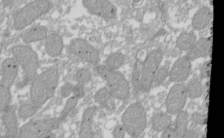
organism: Xenopus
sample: Cilia; centrioles in frog embryo cells